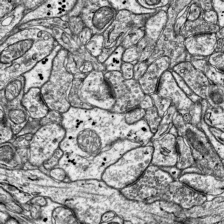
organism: Mouse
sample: Visual Cortex